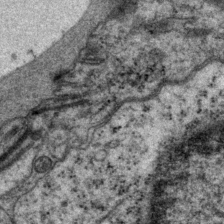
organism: P. pacificus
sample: Pharynx